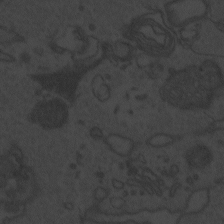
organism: Zebrafish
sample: Macrophage infected with Toxoplasma gondii